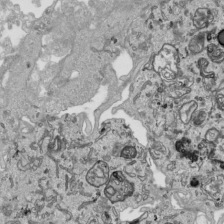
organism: Human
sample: Mitochondria in HCT116 cells